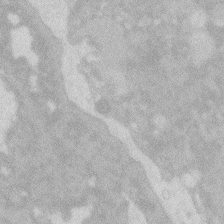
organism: Zebrafish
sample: Macrophage